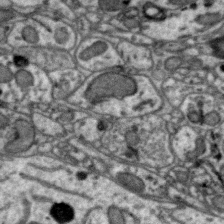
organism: Zebra finch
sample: Brain